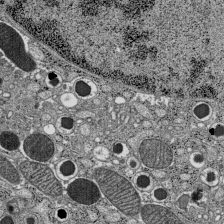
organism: C57BL Mouse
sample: Pancreatic islet